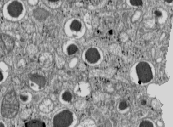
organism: C57BL Mouse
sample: Pancreatic islet